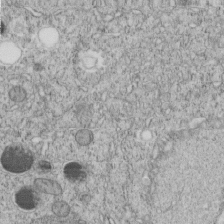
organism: C. elegans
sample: C. elegans embryo early stage